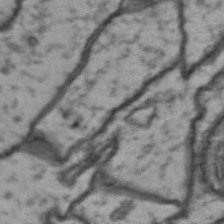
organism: Drosophila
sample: Brain